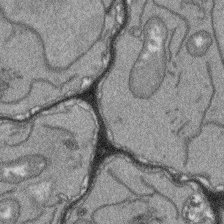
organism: Arabidopsis thaliana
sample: Root tip